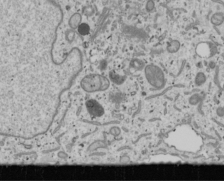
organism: Human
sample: Mitochondria in U2OS cells